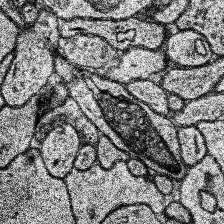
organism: Human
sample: Temporal Lobe